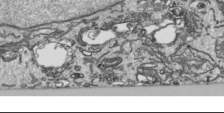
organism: Human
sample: Mitochondria in HCT116 cells